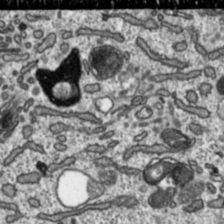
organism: Toxoplasma gondii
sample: Parasites in a vacuole inside a host cell